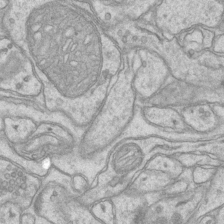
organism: Mouse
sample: CA1 Hippocampus